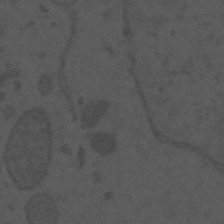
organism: Mouse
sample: Suprachiasmatic nucleus